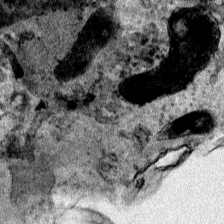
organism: Human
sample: Mitochondria in HCT116 cells